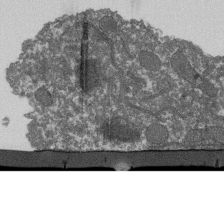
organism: Dictyostelium discoideum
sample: Dictyostelium multivesicular bodies